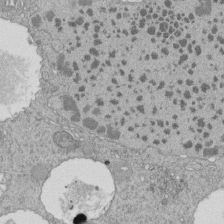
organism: Tetrahymena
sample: Cilia in tetrahymena